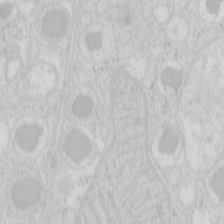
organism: Mouse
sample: Pancreas